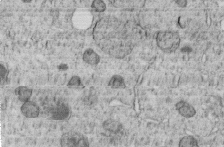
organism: C. elegans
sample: C. elegans embryo early stage